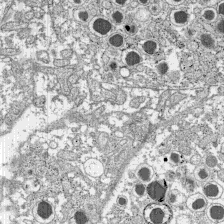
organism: C57BL Mouse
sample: Pancreatic islet